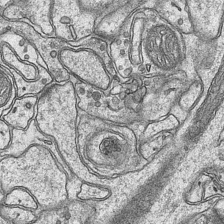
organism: Mouse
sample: CA1 Hippocampus